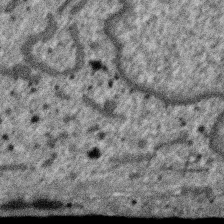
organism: Human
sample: Lung epithelial cells infected with SARS-CoV-2